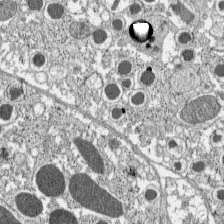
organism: C57BL Mouse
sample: Pancreatic islet